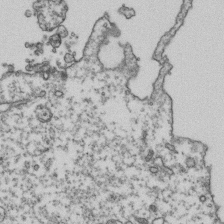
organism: Human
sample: Activated Jurkat CD4+ T cells